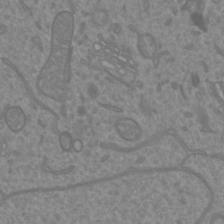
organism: Mouse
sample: Cortical neurons